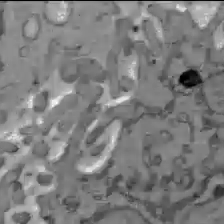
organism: C57BL Mouse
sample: Liver